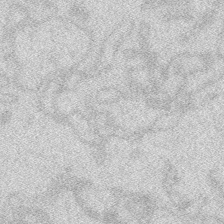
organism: Zebrafish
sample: Macrophage